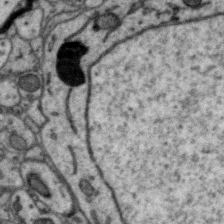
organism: Zebra finch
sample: Brain